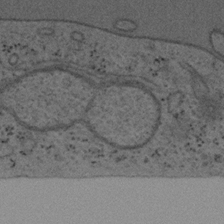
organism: Human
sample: HeLa cells